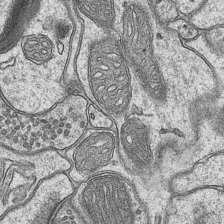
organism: Mouse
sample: CA1 Hippocampus